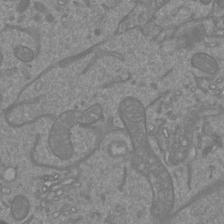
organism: Mouse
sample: Cortical neurons